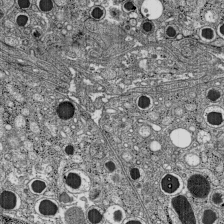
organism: C57BL Mouse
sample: Pancreatic islet